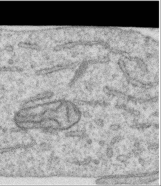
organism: Human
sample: Centriole in RPE cells